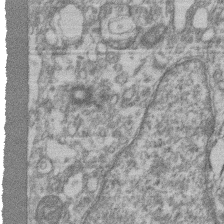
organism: Mouse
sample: T cell stromal cell synapse